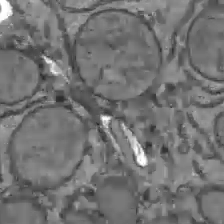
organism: C57BL Mouse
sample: Liver